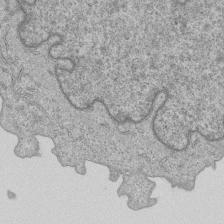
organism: Human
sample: MDA-MB-231 cells